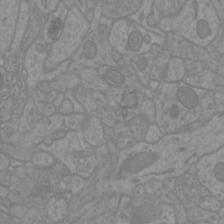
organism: Mouse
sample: Cortical neurons